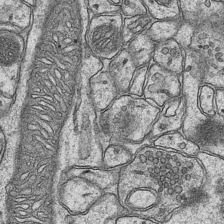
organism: Mouse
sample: CA1 Hippocampus